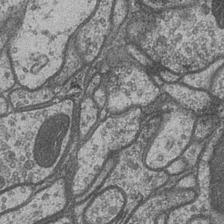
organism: Drosophila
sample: Optic medulla